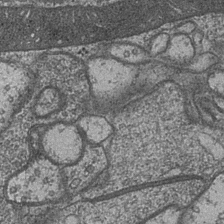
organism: Drosophila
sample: Optic medulla